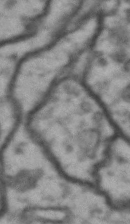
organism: Drosophila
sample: Brain